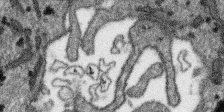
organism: Human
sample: Lung epithelial cells infected with SARS-CoV-2